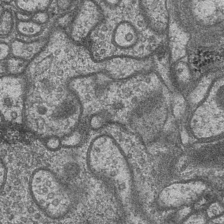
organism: Drosophila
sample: Optic medulla